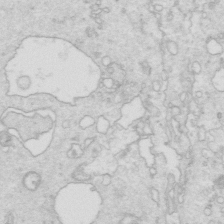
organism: Mouse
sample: Multiciliated cells